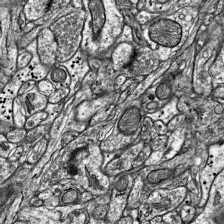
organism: Mouse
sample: Visual Cortex